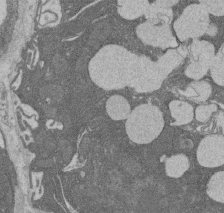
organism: Rat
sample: Salivary granule